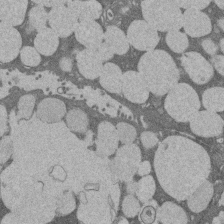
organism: Rat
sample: Salivary granule